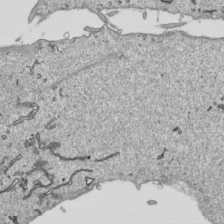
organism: Human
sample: Mitochondria in HCT116 cells